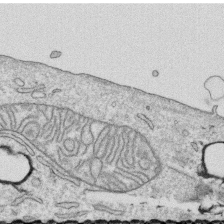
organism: Human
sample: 1205lu cells